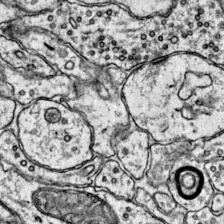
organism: Mouse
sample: Primary visual cortex